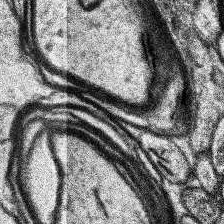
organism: Human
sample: Temporal Lobe